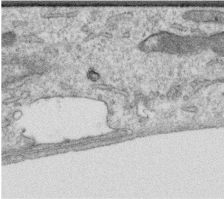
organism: Human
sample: Centriole in RPE cells